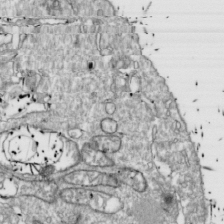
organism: Drosophila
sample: Cell division; meiosis; drosophila spermatocytes